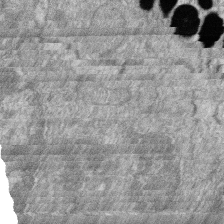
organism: Zebrafish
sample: Cilia; retinal pigment epithelium